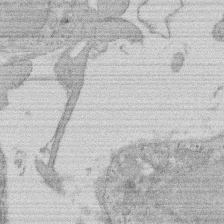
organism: Rat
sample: Salivary granule